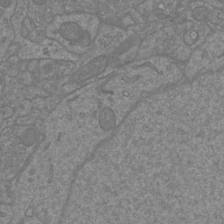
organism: Mouse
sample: Cortical neurons